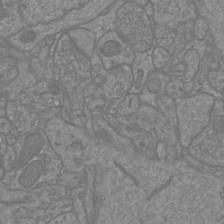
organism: Mouse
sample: Cortical neurons